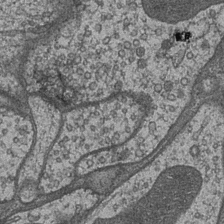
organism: Drosophila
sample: Optic medulla